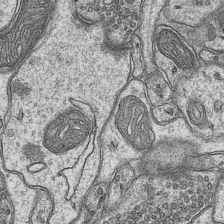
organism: Mouse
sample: CA1 Hippocampus